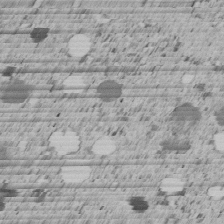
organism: C. elegans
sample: C. elegans embryo early stage